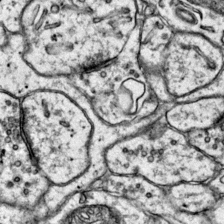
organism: Mouse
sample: Primary visual cortex